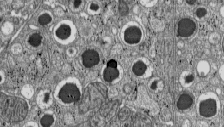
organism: C57BL Mouse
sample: Pancreatic islet